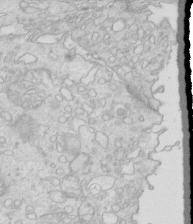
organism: Mouse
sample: Multiciliated cells